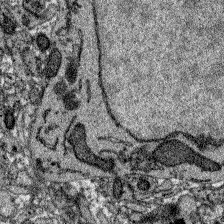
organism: Zebrafish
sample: Larval olfactory bulb